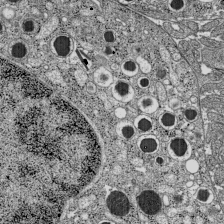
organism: C57BL Mouse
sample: Pancreatic islet